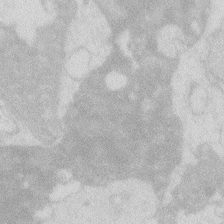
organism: Zebrafish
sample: Macrophage